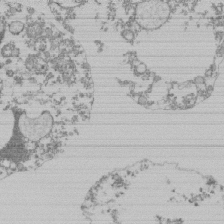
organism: Mouse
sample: Activated Pmel transgenic CD8+ T Cells